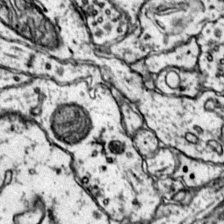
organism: Mouse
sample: Primary visual cortex